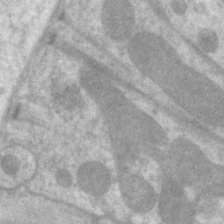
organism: C. elegans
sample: Pharynx